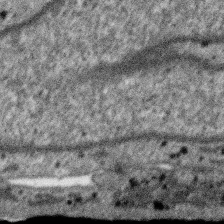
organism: Human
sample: Lung epithelial cells infected with SARS-CoV-2